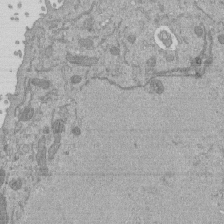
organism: Mouse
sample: ED-1 cell nuclei; centrioles